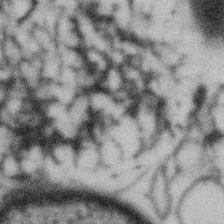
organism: Gemmata obscuriglobus